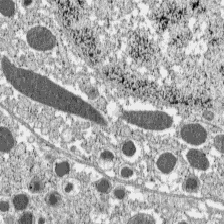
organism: C57BL Mouse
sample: Pancreatic islet